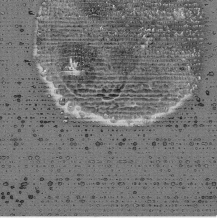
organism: Mouse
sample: Activated Pmel transgenic CD8+ T Cells